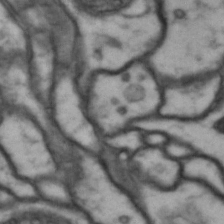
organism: Drosophila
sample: Brain